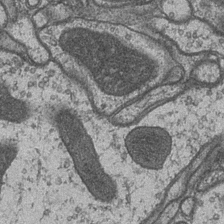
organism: Drosophila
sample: Optic medulla